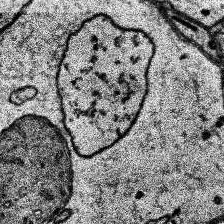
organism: Human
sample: Temporal Lobe